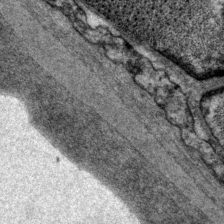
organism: P. pacificus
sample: Pharynx